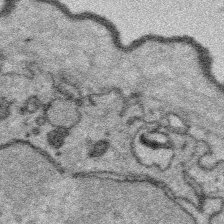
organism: Platynereis dumerilii